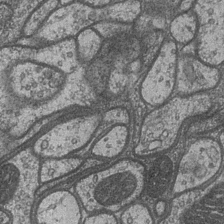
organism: Drosophila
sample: Optic medulla